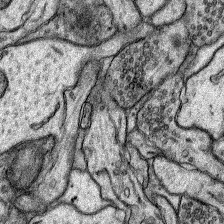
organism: Rat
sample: Hippocampus